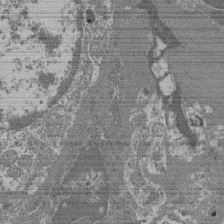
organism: Mouse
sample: Glomerulus